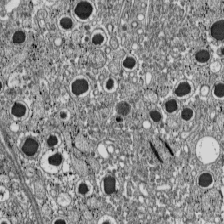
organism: C57BL Mouse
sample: Pancreatic islet